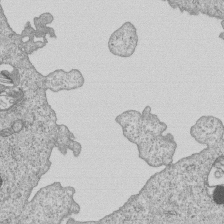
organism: Human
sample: MDA-MB-231 cells